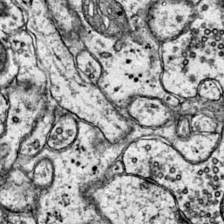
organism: Mouse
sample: Primary visual cortex